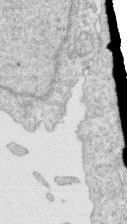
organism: Human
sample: HeLa cell HIV synapse